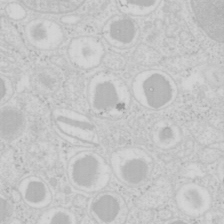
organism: Mouse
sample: Pancreas